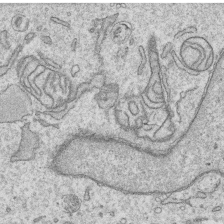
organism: Human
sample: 1205lu cells